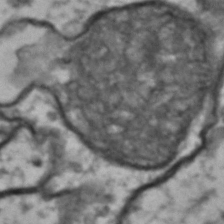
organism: Drosophila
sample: Brain